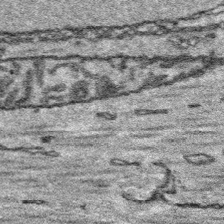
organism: Platynereis dumerilii